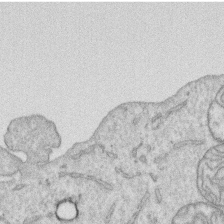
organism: Human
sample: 1205lu cells